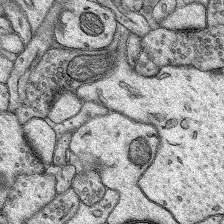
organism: Rat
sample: Hippocampus